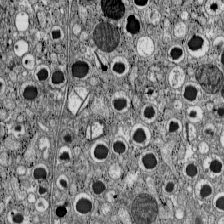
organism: C57BL Mouse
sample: Pancreatic islet